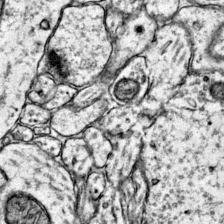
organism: Mouse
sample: Primary visual cortex